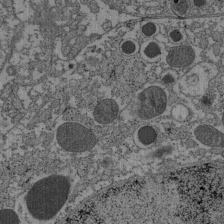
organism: C57BL Mouse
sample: Pancreatic islet